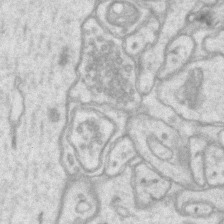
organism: Mouse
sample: CA1 Hippocampus